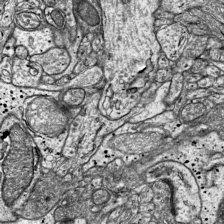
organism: Mouse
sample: Visual Cortex